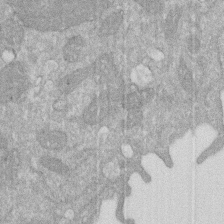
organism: Human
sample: HIV infected U937 cells